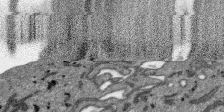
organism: Human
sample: Lung epithelial cells, uninfected (mock) control